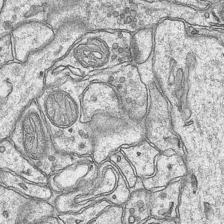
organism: Mouse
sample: CA1 Hippocampus